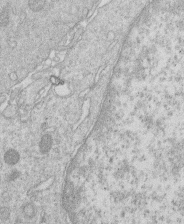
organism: Human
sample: Macrophage cells